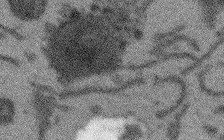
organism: Arabidopsis thaliana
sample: Root tip